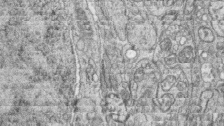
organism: Zebrafish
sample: synaptic ribbons in rod cells and cone cells